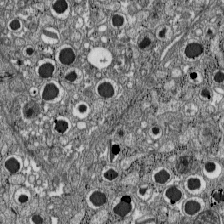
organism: C57BL Mouse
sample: Pancreatic islet